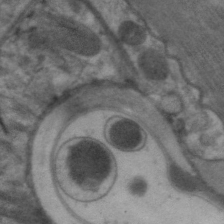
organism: C. elegans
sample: Pharynx